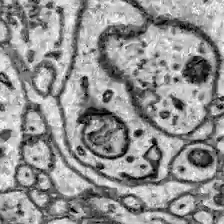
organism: Zebrafish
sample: Brain